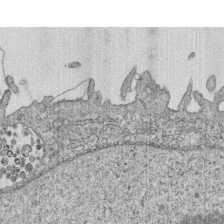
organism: Human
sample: HeLa cell HIV synapse